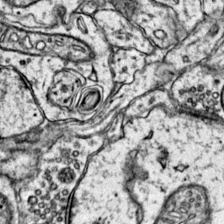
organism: Mouse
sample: Primary visual cortex